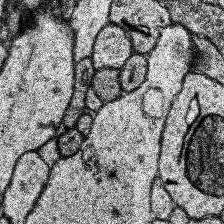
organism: Human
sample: Temporal Lobe